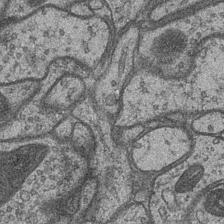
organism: Drosophila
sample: Optic medulla